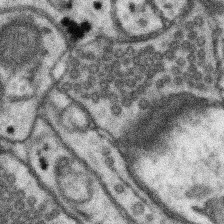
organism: Mouse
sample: Somatosensory cortex neuropil